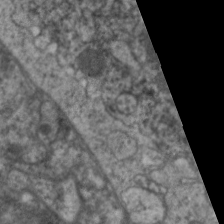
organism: C. elegans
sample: Pharynx